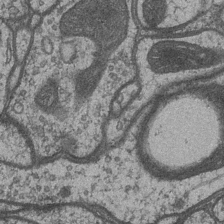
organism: Drosophila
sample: Optic medulla